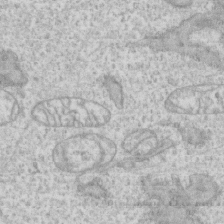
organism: Human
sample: CRL-1474